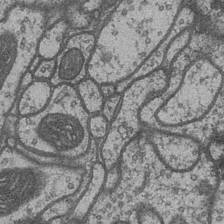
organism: Drosophila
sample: Optic medulla